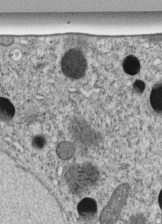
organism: C. elegans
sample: C. elegans embryo early stage